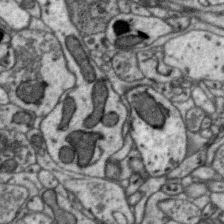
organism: Zebra finch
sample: Brain